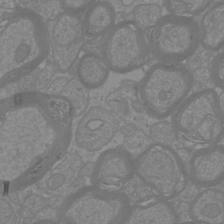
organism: Mouse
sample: Cortical neurons